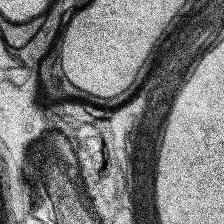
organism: Human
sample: Temporal Lobe